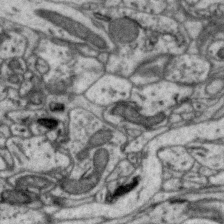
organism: Zebra finch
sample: Brain